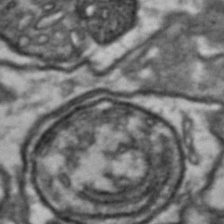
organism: Drosophila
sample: Brain